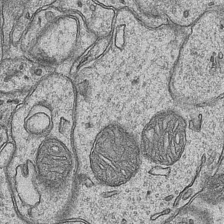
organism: Mouse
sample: CA1 Hippocampus